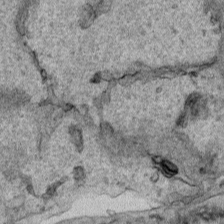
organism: Human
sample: Mitochondria in HCT116 cells